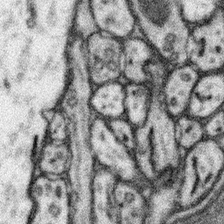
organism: Mouse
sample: Somatosensory cortex neuropil